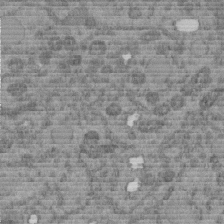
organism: C. elegans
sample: C. elegans embryo early stage